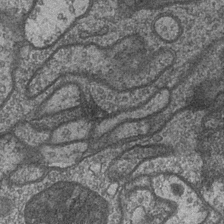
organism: Drosophila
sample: Optic medulla